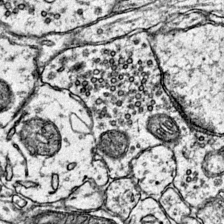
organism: Mouse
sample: Primary visual cortex